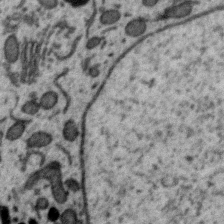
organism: Zebra finch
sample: Brain